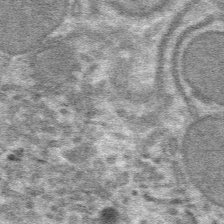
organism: Mouse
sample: Mouse hepatocytes